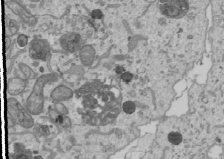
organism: Human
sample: Mitochondria in U2OS cells